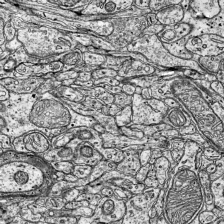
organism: Mouse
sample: Visual Cortex